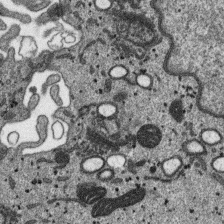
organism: Human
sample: Lung epithelial cells infected with SARS-CoV-2